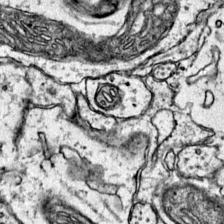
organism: Mouse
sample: Primary visual cortex